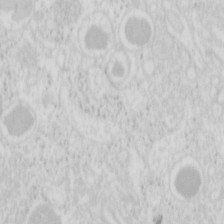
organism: Mouse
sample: Pancreas